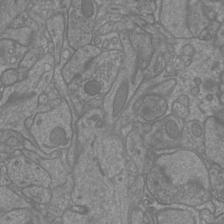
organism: Mouse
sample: Cortical neurons